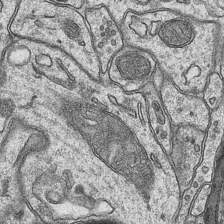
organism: Mouse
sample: CA1 Hippocampus